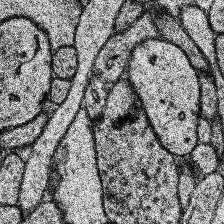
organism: Human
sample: Temporal Lobe